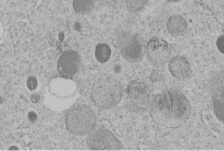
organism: C. elegans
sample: C. elegans embryo early stage